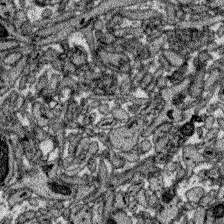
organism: Zebrafish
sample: Larval olfactory bulb